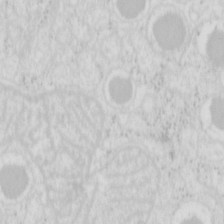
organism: Mouse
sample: Pancreas